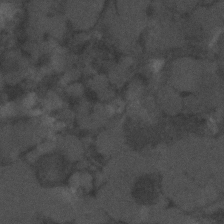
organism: C. elegans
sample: C. elegans embryo